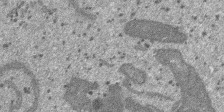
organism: Human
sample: Lung epithelial cells infected with SARS-CoV-2